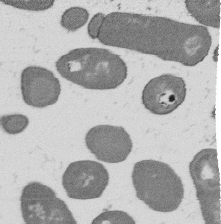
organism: B. subtilis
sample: Bacterial spore